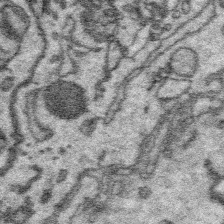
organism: Platynereis dumerilii